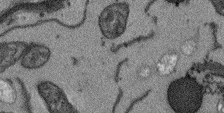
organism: Arabidopsis thaliana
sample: Root tip